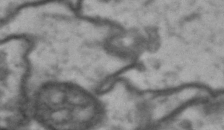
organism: Drosophila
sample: Brain